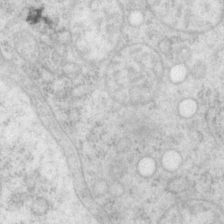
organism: P. pacificus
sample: Pharynx